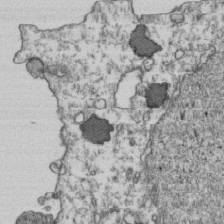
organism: Human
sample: Activated Jurkat CD4+ T cells